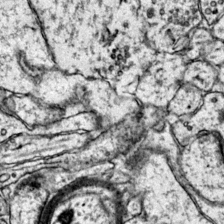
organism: Mouse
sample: Primary visual cortex